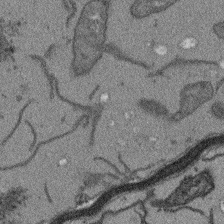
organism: Arabidopsis thaliana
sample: Root tip